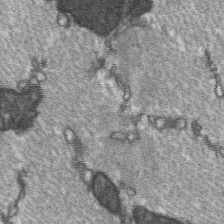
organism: C57BL Mouse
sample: Soleus